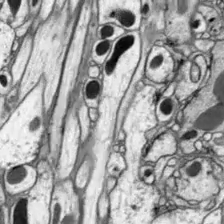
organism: Drosophila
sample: Optic lobe